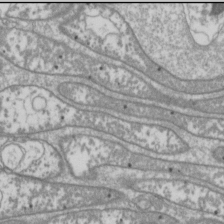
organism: Drosophila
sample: Cell division; meiosis; drosophila spermatocytes